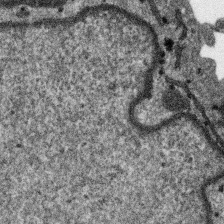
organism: Human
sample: Lung epithelial cells infected with SARS-CoV-2